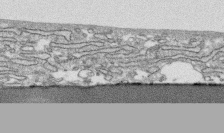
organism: Human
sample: CRL-1474